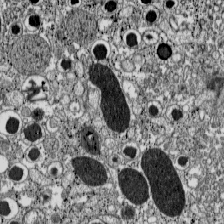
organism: C57BL Mouse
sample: Pancreatic islet